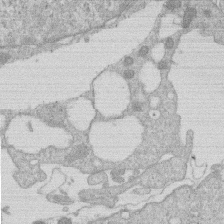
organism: Human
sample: Macrophage cells